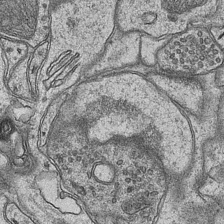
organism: Mouse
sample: CA1 Hippocampus